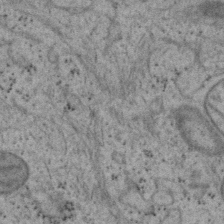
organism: Human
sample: HeLa cells